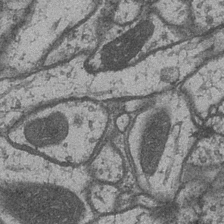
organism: Drosophila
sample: Optic medulla